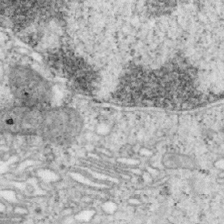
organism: Mouse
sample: OT-I killer T cells with ID8 ovarian cancer cells